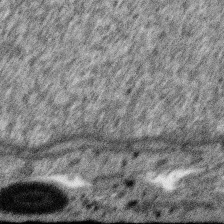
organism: Human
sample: Lung epithelial cells infected with SARS-CoV-2